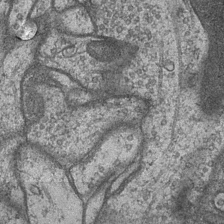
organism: Drosophila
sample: Optic medulla